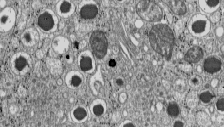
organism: C57BL Mouse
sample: Pancreatic islet